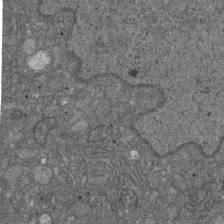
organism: Drosophila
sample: Nephrocyte